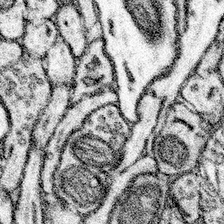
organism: Mouse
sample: Somatosensory cortex neuropil